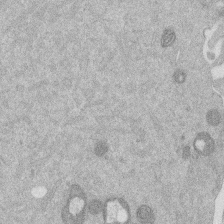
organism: Mouse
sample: Dividing mouse embryo 1 cell stage